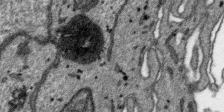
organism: Human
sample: Lung epithelial cells, uninfected (mock) control